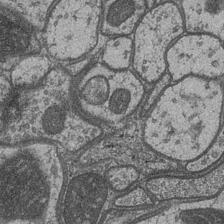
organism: Drosophila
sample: Optic medulla